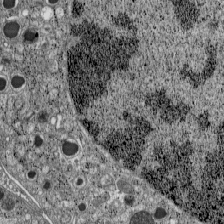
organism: C57BL Mouse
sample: Pancreatic islet